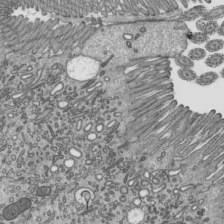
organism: Mouse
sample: Mouse epididymis efferent ductule cilia